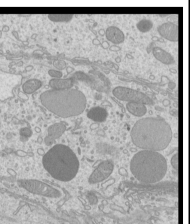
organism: Mouse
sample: Cilia; mouse epididymis